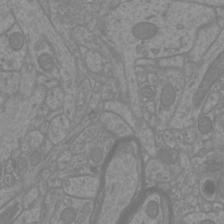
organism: Mouse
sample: Cortical neurons